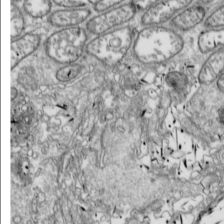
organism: Drosophila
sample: Cell division; meiosis; drosophila spermatocytes